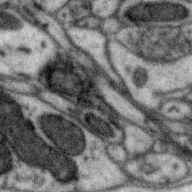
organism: Zebra finch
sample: Brain